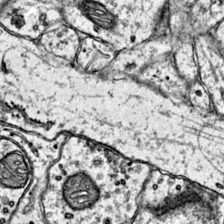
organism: Mouse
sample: Primary visual cortex